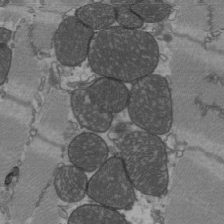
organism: C57BL Mouse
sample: Heart